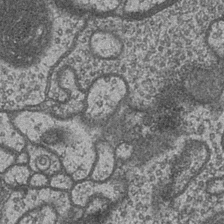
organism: Drosophila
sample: Optic medulla